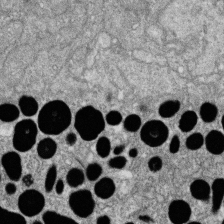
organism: Zebrafish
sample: Cilia; retinal pigment epithelium